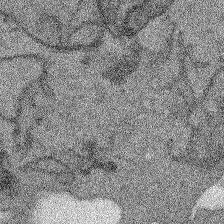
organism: Human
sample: HeLa cells